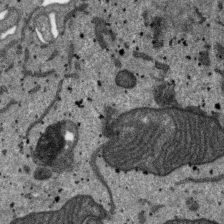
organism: Human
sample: Lung epithelial cells, uninfected (mock) control